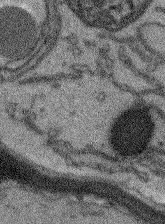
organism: Arabidopsis thaliana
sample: Root tip